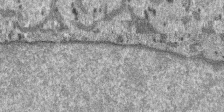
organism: Human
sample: Lung epithelial cells infected with SARS-CoV-2